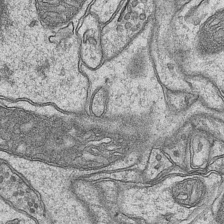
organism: Mouse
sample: CA1 Hippocampus